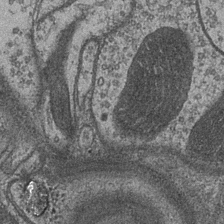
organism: Drosophila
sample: Optic medulla